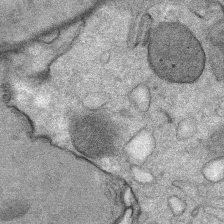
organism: Mouse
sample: Mouse Salivary gland